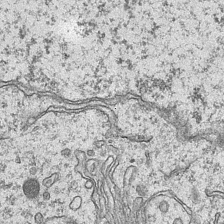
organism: Mouse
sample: CA1 Hippocampus